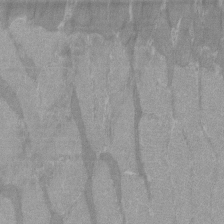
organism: C57BL Mouse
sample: Tibialis anterior muscle cell